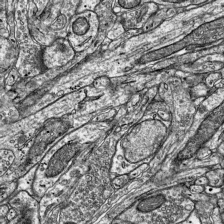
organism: Mouse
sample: Visual Cortex